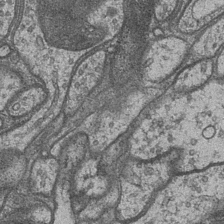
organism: Drosophila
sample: Optic medulla